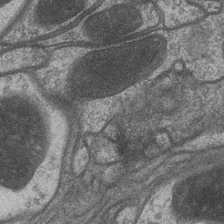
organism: Drosophila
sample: Optic medulla